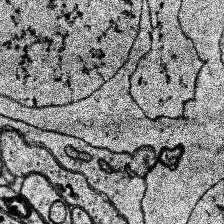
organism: Human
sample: Temporal Lobe